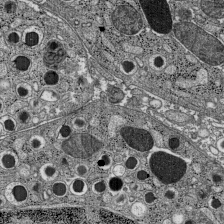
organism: C57BL Mouse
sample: Pancreatic islet